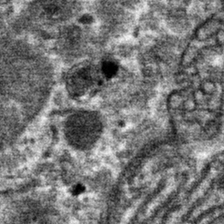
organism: Mouse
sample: Mouse hepatocytes